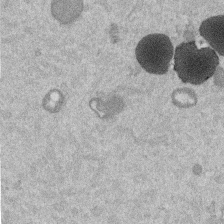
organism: Mouse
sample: Dividing mouse embryo 1 cell stage